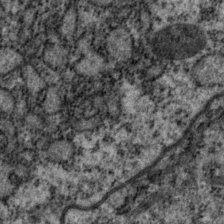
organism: P. pacificus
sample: Pharynx